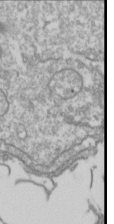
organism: Drosophila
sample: Cell division; meiosis; drosophila spermatocytes